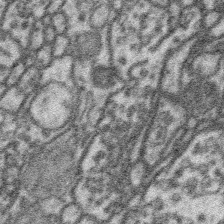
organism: Platynereis dumerilii